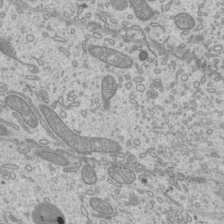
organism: Mouse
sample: Cilia; mouse epididymis